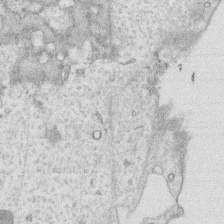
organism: Human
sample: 1205lu cells